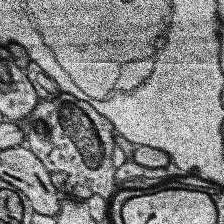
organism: Human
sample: Temporal Lobe